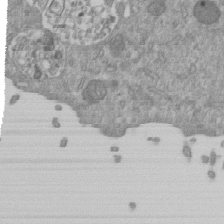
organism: Mouse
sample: ED-1 cell nuclei; centrioles